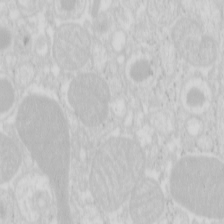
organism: Mouse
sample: Pancreas